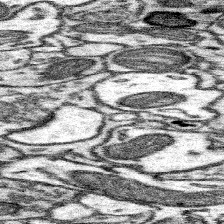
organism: Mouse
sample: Somatosensory cortex neuropil